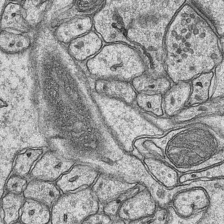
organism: Mouse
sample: CA1 Hippocampus